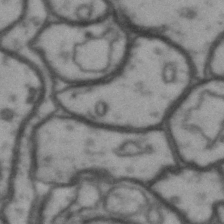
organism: Drosophila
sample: Brain